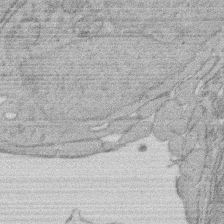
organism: Rat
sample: Salivary granule